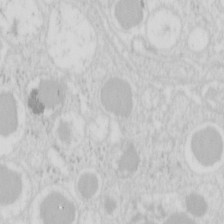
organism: Mouse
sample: Pancreas